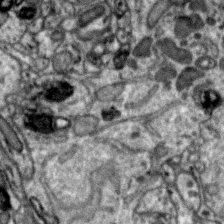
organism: Zebra finch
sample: Brain